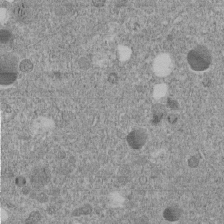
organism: C. elegans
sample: C. elegans embryo early stage